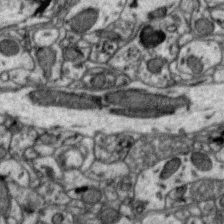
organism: Zebra finch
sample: Brain